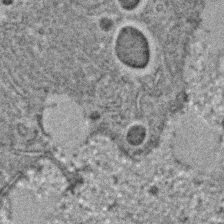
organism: C. elegans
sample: C. elegans embryo